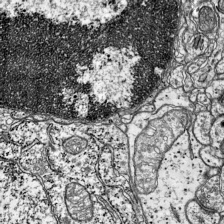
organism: Mouse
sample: Visual Cortex